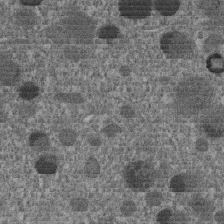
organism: C. elegans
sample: C. elegans embryo early stage